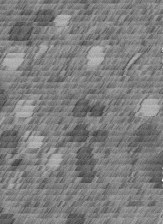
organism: C. elegans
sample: C. elegans embryo early stage